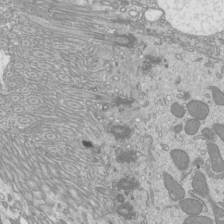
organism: Mouse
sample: Cilia; mouse epididymis